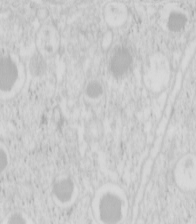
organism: Mouse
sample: Pancreas